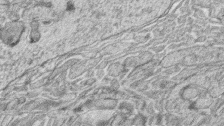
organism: Zebrafish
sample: synaptic ribbons in rod cells and cone cells